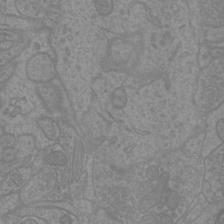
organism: Mouse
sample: Cortical neurons